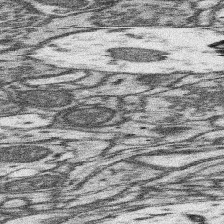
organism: Mouse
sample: Somatosensory cortex neuropil